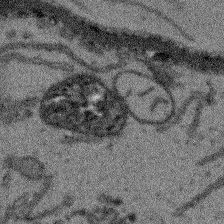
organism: Arabidopsis thaliana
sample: Root tip